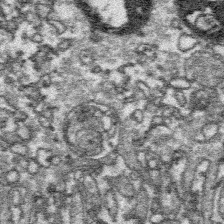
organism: Platynereis dumerilii